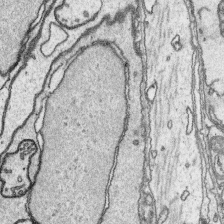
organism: Platynereis dumerilii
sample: Parapodia